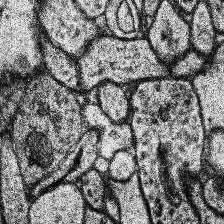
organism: Human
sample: Temporal Lobe